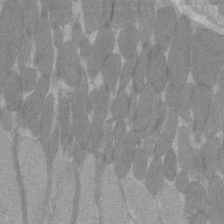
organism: C57BL Mouse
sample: Tibialis anterior muscle cell